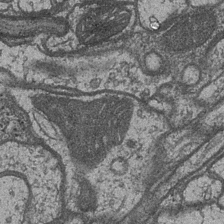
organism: Drosophila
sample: Optic medulla